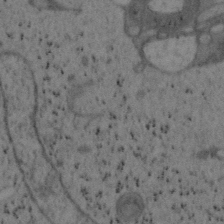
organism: Human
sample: HeLa cells